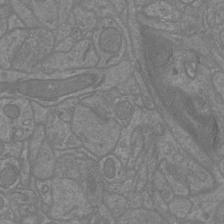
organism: Mouse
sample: Cortical neurons